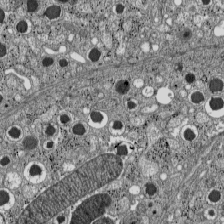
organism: C57BL Mouse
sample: Pancreatic islet